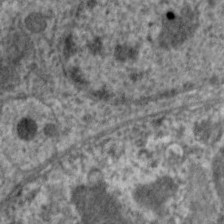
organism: C. elegans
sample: Pharynx